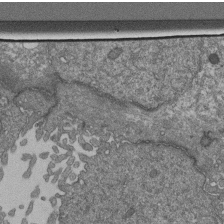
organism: Human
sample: Retinal organoid Rod and Cone cells